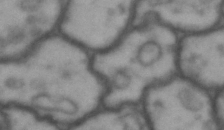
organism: Drosophila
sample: Brain